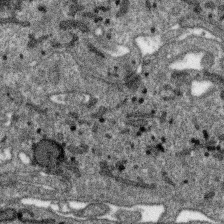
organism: Human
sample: Lung epithelial cells infected with SARS-CoV-2